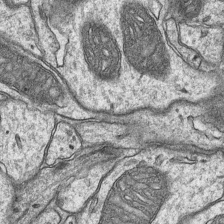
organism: Mouse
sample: CA1 Hippocampus